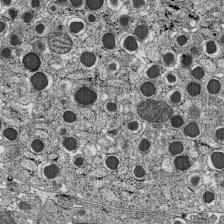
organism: C57BL Mouse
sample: Pancreatic islet